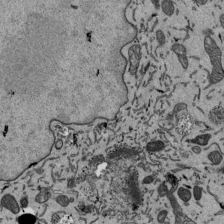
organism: Mouse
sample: ED-1 cell nuclei; centrioles